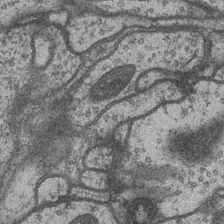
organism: Drosophila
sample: Optic medulla